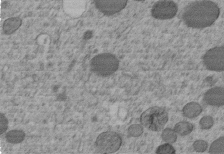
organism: C. elegans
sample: C. elegans embryo early stage